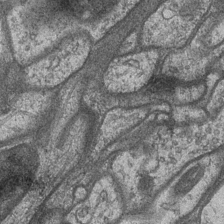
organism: Drosophila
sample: Optic medulla